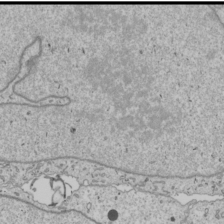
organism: Human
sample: Mitochondria in U2OS cells